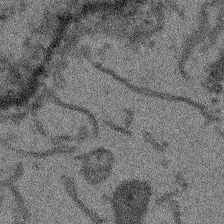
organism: Arabidopsis thaliana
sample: Root tip